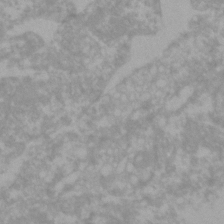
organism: Zebrafish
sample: Zebrafish embryo